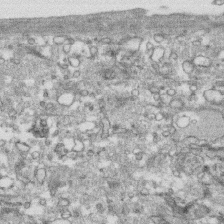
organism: Human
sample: CRL-1474